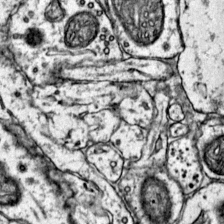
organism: Mouse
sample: Primary visual cortex